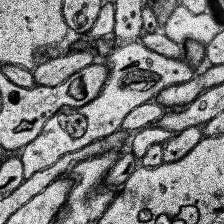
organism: Human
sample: Temporal Lobe